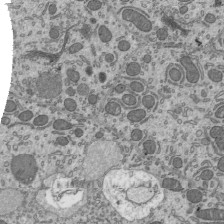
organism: Mouse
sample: Mouse epididymis efferent ductule cilia